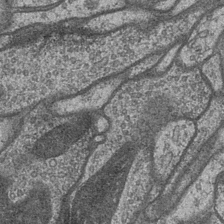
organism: Drosophila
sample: Optic medulla